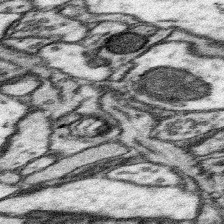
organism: Mouse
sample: Somatosensory cortex neuropil